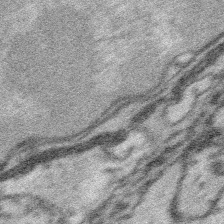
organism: Platynereis dumerilii